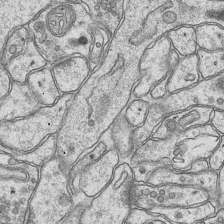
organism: Mouse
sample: CA1 Hippocampus